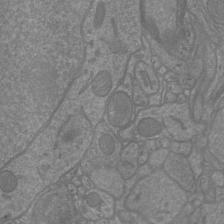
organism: Mouse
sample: Cortical neurons